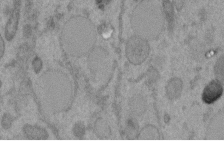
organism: C. elegans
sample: C. elegans embryo early stage